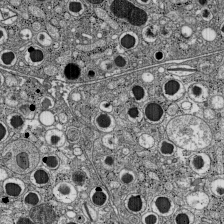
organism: C57BL Mouse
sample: Pancreatic islet